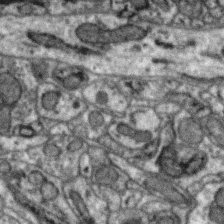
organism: Zebra finch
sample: Brain